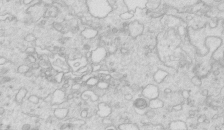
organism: Mouse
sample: Multiciliated cells